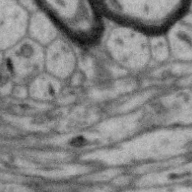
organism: Zebra finch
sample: Brain